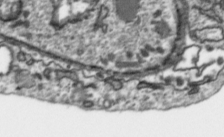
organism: Toxoplasma gondii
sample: Parasites in a vacuole inside a host cell